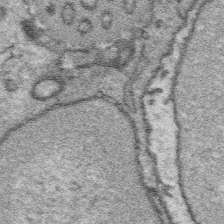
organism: Platynereis dumerilii